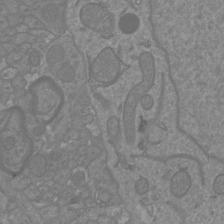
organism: Mouse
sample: Cortical neurons